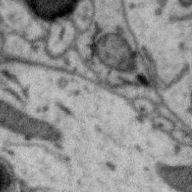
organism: Zebra finch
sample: Brain